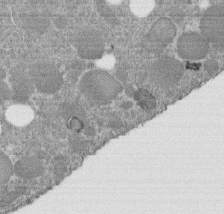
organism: C. elegans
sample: C. elegans embryo early stage